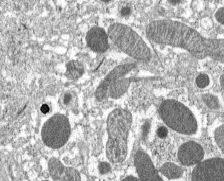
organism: C57BL Mouse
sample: Pancreatic islet